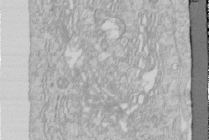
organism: Human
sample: Centriole in RPE cells